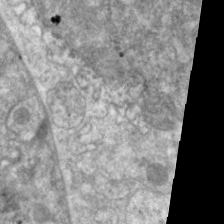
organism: C. elegans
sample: Pharynx